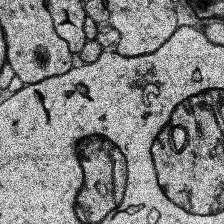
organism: Human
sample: Temporal Lobe